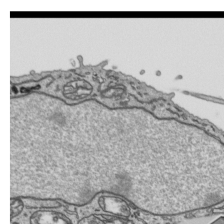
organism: Human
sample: Mitochondria in HCT116 cells